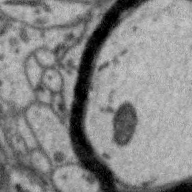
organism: Zebra finch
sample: Brain